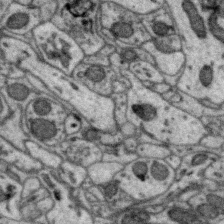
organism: Zebra finch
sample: Brain